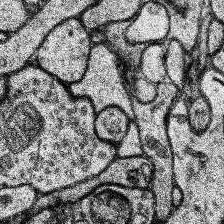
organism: Human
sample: Temporal Lobe